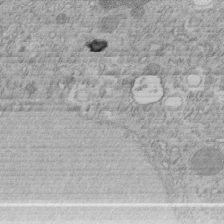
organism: C. elegans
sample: C. elegans embryo early stage